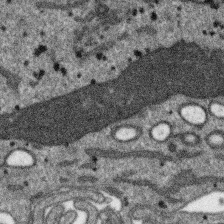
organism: Human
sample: Lung epithelial cells infected with SARS-CoV-2